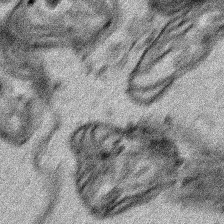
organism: Human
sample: Mitochondria in HCT116 cells